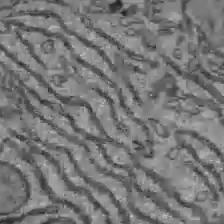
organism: C57BL Mouse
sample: Liver